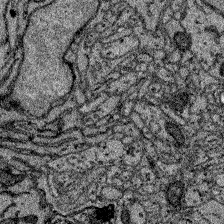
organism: Zebrafish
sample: Larval olfactory bulb